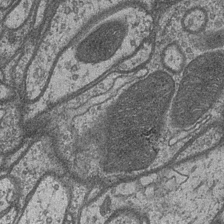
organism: Drosophila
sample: Optic medulla